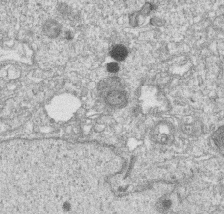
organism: Human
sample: HeLa cell HIV synapse